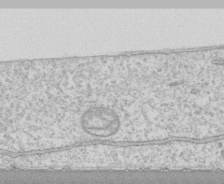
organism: Human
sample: CRL-1474